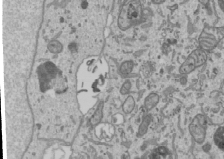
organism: Human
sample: Mitochondria in U2OS cells